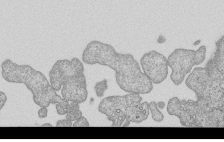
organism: Human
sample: MDA-MB-231 cells